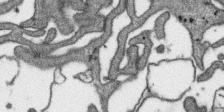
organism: Human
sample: Lung epithelial cells, uninfected (mock) control